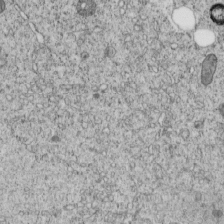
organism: C. elegans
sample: C. elegans embryo early stage